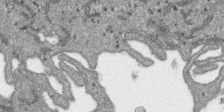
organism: Human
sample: Lung epithelial cells infected with SARS-CoV-2